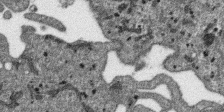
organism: Human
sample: Lung epithelial cells infected with SARS-CoV-2